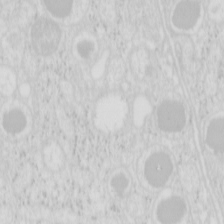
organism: Mouse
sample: Pancreas